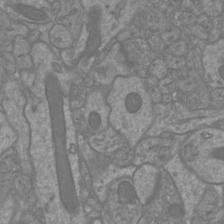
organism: Mouse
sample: Cortical neurons